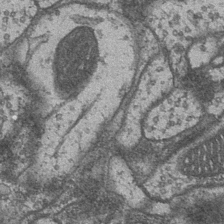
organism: Drosophila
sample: Optic medulla